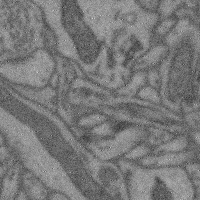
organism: Mouse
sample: Cerebral cortex